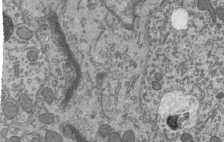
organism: Mouse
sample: Mouse epididymis efferent ductule cilia